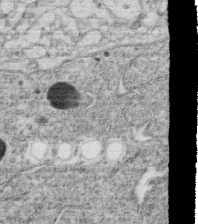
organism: C. elegans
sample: C. elegans oocyte; sperm cells